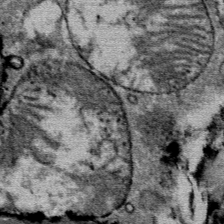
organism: Mouse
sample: Mouse Salivary gland